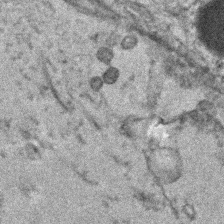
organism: Human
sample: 1205lu cells